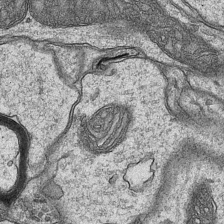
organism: Mouse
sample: CA1 Hippocampus